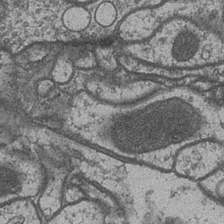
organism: Drosophila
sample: Optic medulla